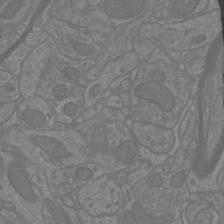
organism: Mouse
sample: Cortical neurons